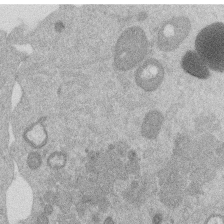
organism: Mouse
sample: Dividing mouse embryo 1 cell stage